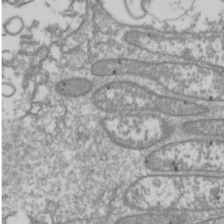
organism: Drosophila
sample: Cell division; meiosis; drosophila spermatocytes